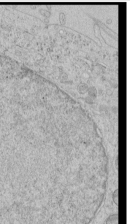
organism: Human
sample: Mitochondria in HCT116 cells